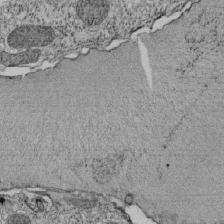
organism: Tetrahymena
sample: Cilia in tetrahymena